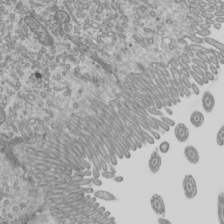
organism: Mouse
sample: Cilia; mouse epididymis